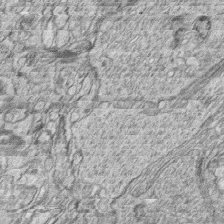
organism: Zebrafish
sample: synaptic ribbons in rod cells and cone cells